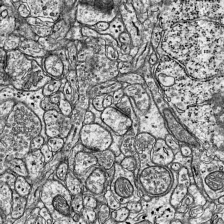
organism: Mouse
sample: Visual Cortex